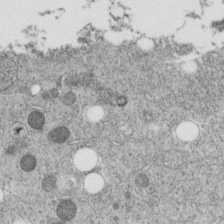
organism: C. elegans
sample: C. elegans embryo early stage